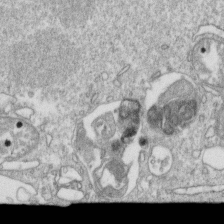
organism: Mouse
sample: Activated OT-1 CD8+ T cells